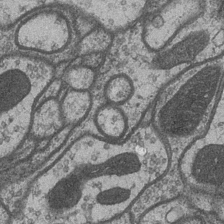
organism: Drosophila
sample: Optic medulla